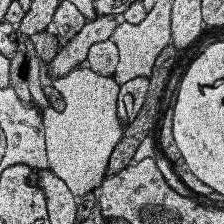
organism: Human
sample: Temporal Lobe